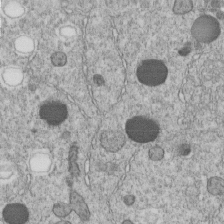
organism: C. elegans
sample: C. elegans embryo early stage